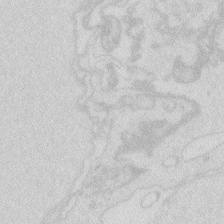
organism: Zebrafish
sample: Macrophage